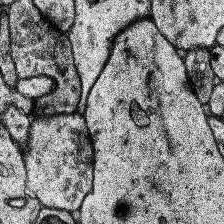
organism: Human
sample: Temporal Lobe